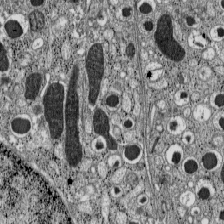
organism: C57BL Mouse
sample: Pancreatic islet